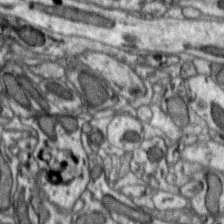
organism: Zebra finch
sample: Brain